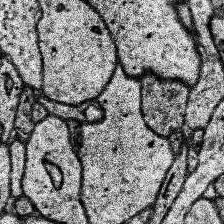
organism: Human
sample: Temporal Lobe